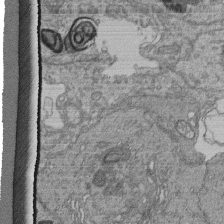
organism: Human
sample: Retinal organoid Rod and Cone cells